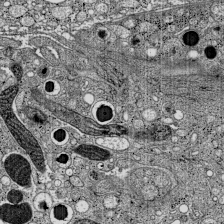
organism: C57BL Mouse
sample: Pancreatic islet